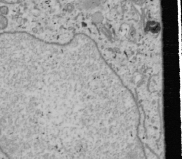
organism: Human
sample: Mitochondria in U2OS cells